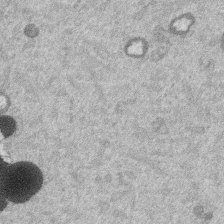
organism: Mouse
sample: Dividing mouse embryo 1 cell stage